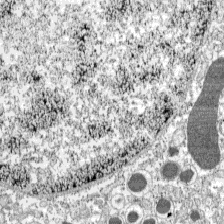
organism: C57BL Mouse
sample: Pancreatic islet